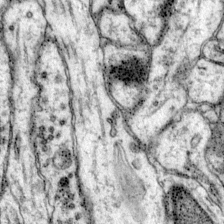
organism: Mouse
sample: Primary visual cortex